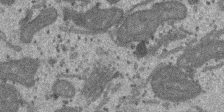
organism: Human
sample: Lung epithelial cells infected with SARS-CoV-2